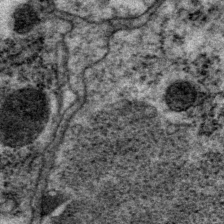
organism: P. pacificus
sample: Pharynx